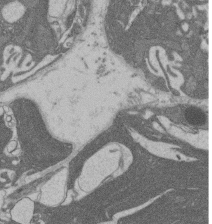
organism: Rat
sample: Salivary granule